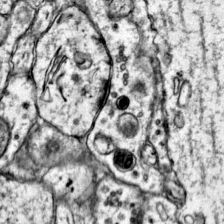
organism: Mouse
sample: Primary visual cortex